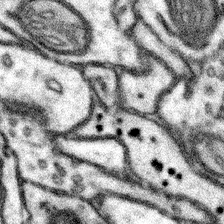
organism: Mouse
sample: Somatosensory cortex neuropil